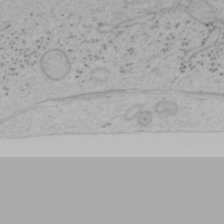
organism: Human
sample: HeLa cells